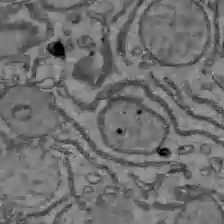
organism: C57BL Mouse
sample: Liver